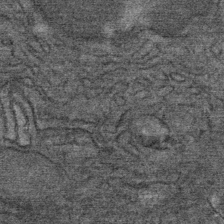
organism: Mouse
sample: Mouse Salivary gland